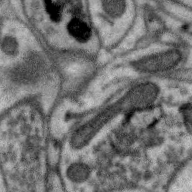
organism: Zebra finch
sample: Brain